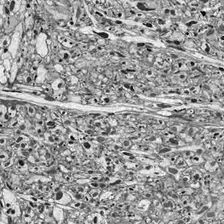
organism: Drosophila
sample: Optic lobe